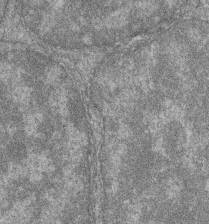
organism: Zebrafish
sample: Cilia; retinal pigment epithelium